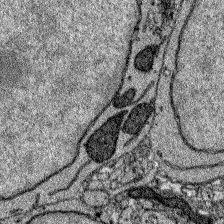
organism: Zebrafish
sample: Larval olfactory bulb